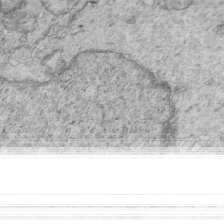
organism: Mouse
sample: Multiciliated cells